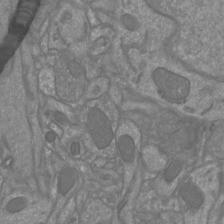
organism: Mouse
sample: Cortical neurons